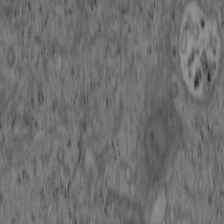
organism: Human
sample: HeLa cells